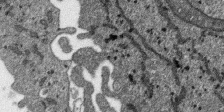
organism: Human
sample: Lung epithelial cells infected with SARS-CoV-2